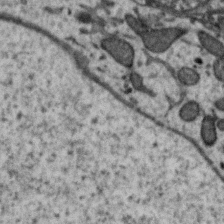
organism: Zebra finch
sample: Brain